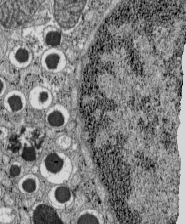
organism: C57BL Mouse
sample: Pancreatic islet